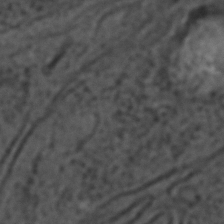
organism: C. elegans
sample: C. elegans embryo